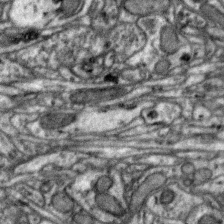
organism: Zebra finch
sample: Brain